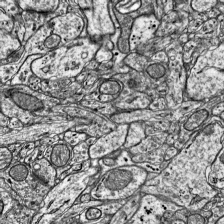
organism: Mouse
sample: Visual Cortex